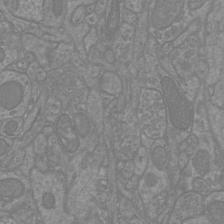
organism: Mouse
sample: Cortical neurons